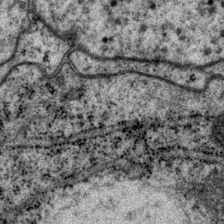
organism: P. pacificus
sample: Pharynx